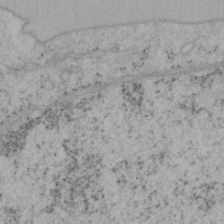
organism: Human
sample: HeLa cells